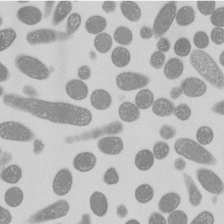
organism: E. coli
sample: Bacterial nucleoid